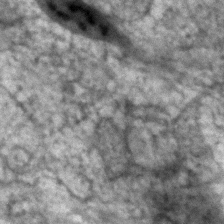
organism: Human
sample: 1205lu cells